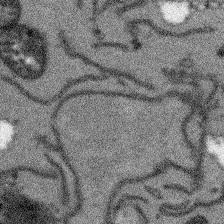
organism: Arabidopsis thaliana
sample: Root tip